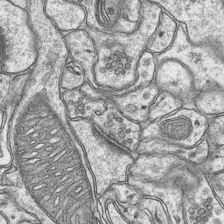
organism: Mouse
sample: CA1 Hippocampus